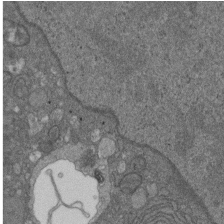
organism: Drosophila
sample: Nephrocyte